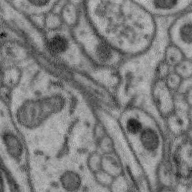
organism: Zebra finch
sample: Brain